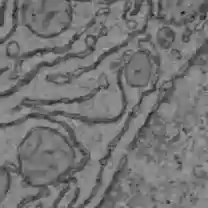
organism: C57BL Mouse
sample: Liver